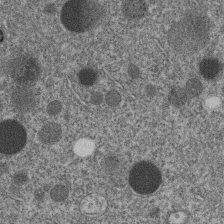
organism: C. elegans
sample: C. elegans embryo early stage